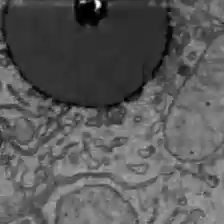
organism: C57BL Mouse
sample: Liver